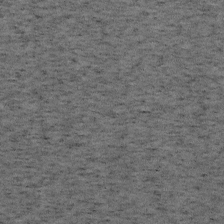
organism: Mouse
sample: OT-I killer T cells with ID8 ovarian cancer cells